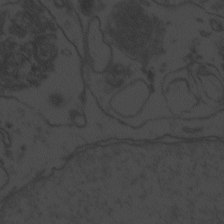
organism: Zebrafish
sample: Macrophage infected with Toxoplasma gondii